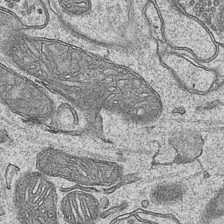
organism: Mouse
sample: CA1 Hippocampus